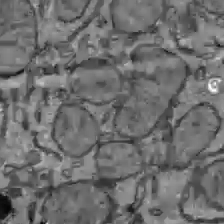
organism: C57BL Mouse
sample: Liver